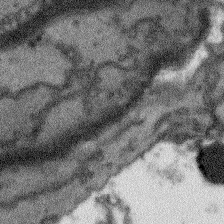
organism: Arabidopsis thaliana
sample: Root tip